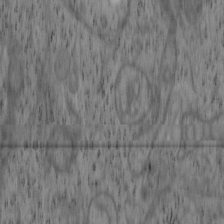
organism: Human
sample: HeLa cells